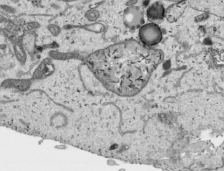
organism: Human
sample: Mitochondria in HCT116 cells